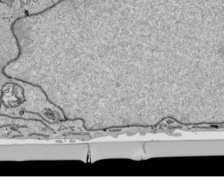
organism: Human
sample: Mitochondria in HCT116 cells